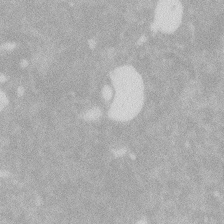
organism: Zebrafish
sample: Macrophage